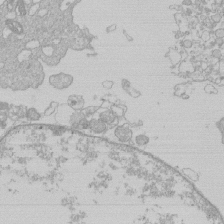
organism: Human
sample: Macrophage cells